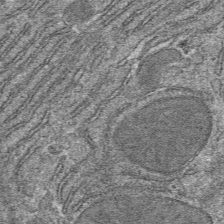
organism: Mouse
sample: Mouse hepatocytes